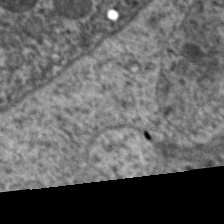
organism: C. elegans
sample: Pharynx